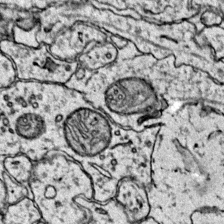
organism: Mouse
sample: Primary visual cortex